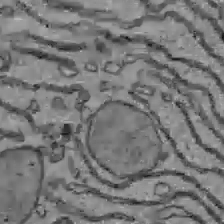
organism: C57BL Mouse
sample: Liver